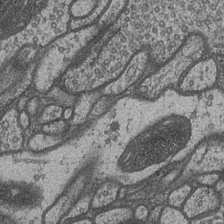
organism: Drosophila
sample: Optic medulla